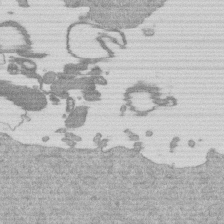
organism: Mouse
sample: Dividing mouse embryo 1 cell stage